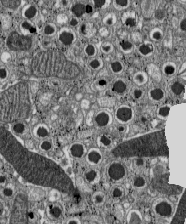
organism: C57BL Mouse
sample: Pancreatic islet